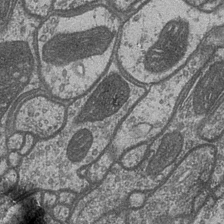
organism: Drosophila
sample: Optic medulla